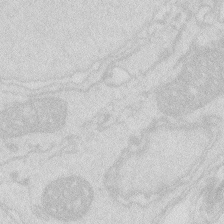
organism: Zebrafish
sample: Macrophage